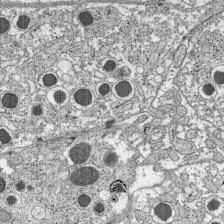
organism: C57BL Mouse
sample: Pancreatic islet